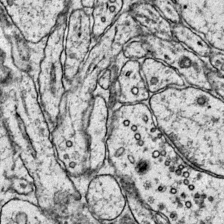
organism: Mouse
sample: Primary visual cortex